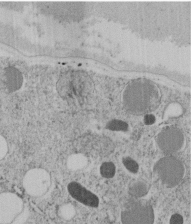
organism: C. elegans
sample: C. elegans embryo early stage